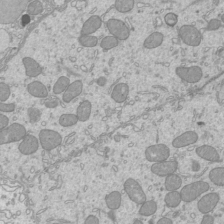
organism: Mouse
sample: Cilia; mouse epididymis